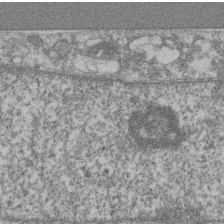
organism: Mouse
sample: T cell stromal cell synapse